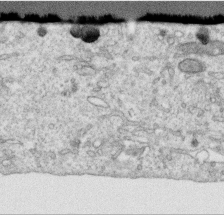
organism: Human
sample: Centriole in RPE cells